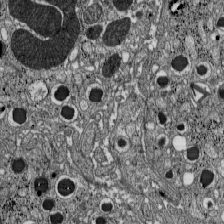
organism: C57BL Mouse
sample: Pancreatic islet